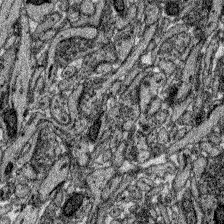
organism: Zebrafish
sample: Larval olfactory bulb